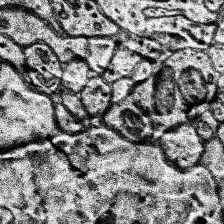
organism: Human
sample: Temporal Lobe